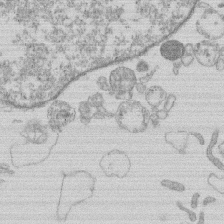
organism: Human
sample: Macrophage cells